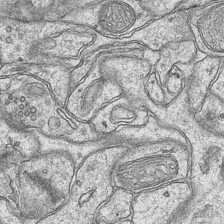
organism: Mouse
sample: CA1 Hippocampus